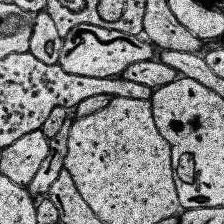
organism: Human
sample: Temporal Lobe